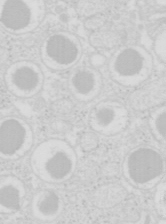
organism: Mouse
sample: Pancreas